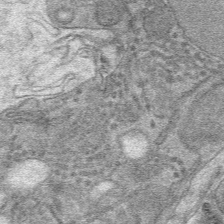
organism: Mouse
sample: Mouse hepatocytes